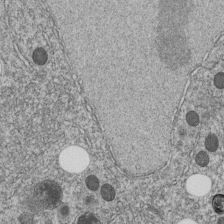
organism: C. elegans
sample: C. elegans embryo early stage